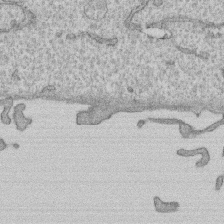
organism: Human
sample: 1205lu cells